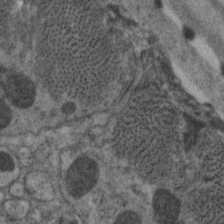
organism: C. elegans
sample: Pharynx